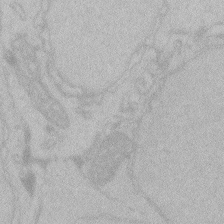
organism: Zebrafish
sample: Macrophage infected with Toxoplasma gondii